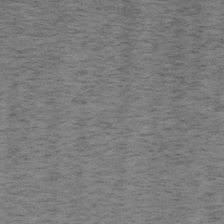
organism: Mouse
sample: OT-I killer T cells with ID8 ovarian cancer cells